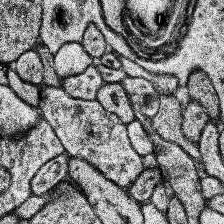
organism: Human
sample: Temporal Lobe